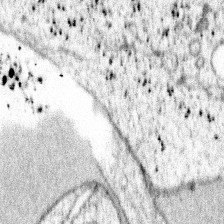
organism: Human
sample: HeLa cells